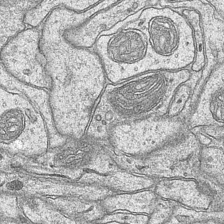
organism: Mouse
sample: CA1 Hippocampus